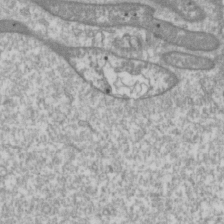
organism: Drosophila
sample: Cell division; meiosis; drosophila spermatocytes